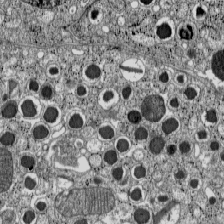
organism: C57BL Mouse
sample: Pancreatic islet